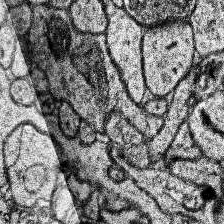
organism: Human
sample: Temporal Lobe